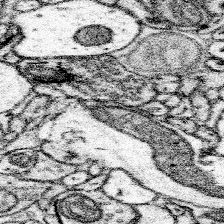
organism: Mouse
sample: Somatosensory cortex neuropil